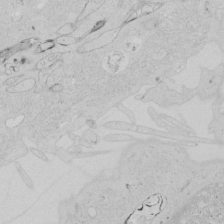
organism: Human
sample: Mitochondria in HCT116 cells